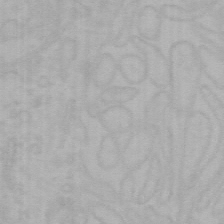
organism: Mouse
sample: Choroid plexus